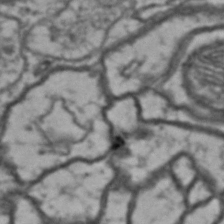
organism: Drosophila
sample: Brain